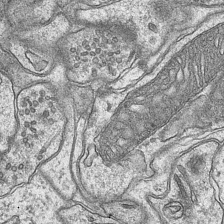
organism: Mouse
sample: CA1 Hippocampus